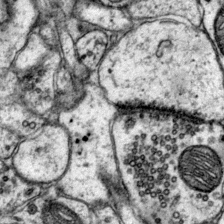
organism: Mouse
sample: Primary visual cortex